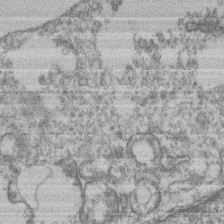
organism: Mouse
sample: T cell stromal cell synapse